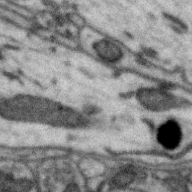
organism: Zebra finch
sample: Brain